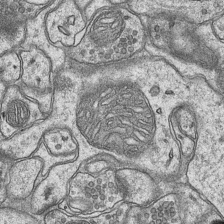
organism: Mouse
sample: CA1 Hippocampus